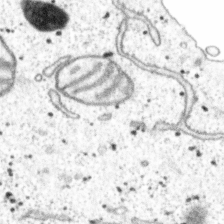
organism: Human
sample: HeLa cells